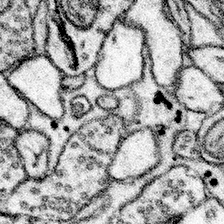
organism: Mouse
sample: Somatosensory cortex neuropil